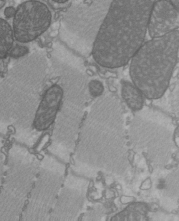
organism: C57BL Mouse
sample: Heart